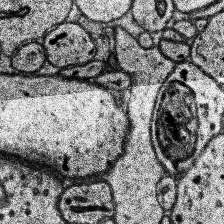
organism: Human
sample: Temporal Lobe